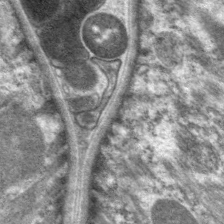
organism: C. elegans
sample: Pharynx